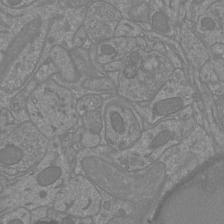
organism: Mouse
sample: Cortical neurons